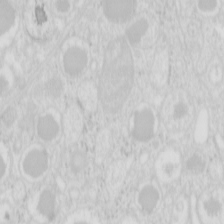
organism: Mouse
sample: Pancreas